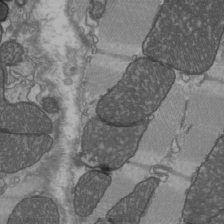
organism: C57BL Mouse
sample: Heart